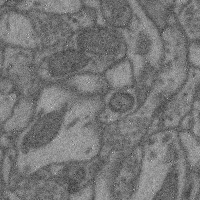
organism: Mouse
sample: Cerebral cortex